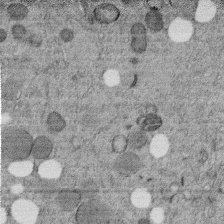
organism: C. elegans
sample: C. elegans embryo early stage